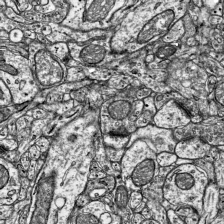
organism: Mouse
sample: Visual Cortex